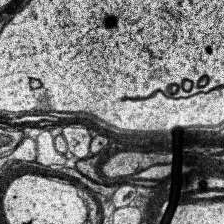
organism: Human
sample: Temporal Lobe